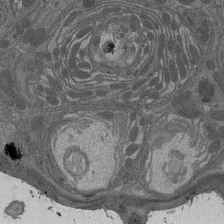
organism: Drosophila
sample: Antenna